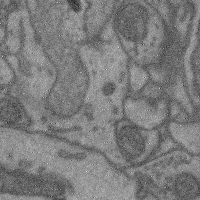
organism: Mouse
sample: Cerebral cortex